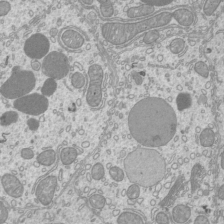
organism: Mouse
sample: Cilia; mouse epididymis